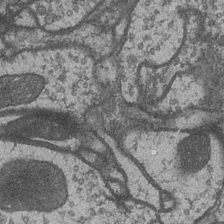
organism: Drosophila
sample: Optic medulla